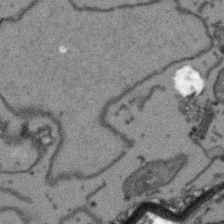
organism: Arabidopsis thaliana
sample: Root tip